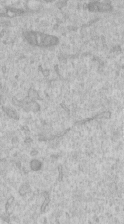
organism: Human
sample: Centriole in RPE cells